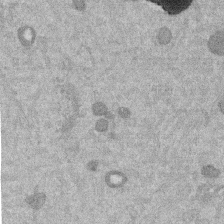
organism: Mouse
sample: Dividing mouse embryo 1 cell stage